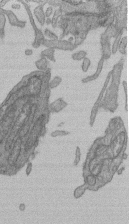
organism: Human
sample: Retinal organoid Rod and Cone cells